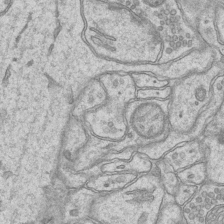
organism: Mouse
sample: CA1 Hippocampus